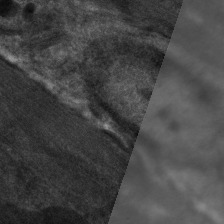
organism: C. elegans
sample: Pharynx